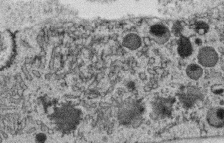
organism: C. elegans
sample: C. elegans oocyte; sperm cells